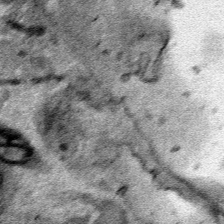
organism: Human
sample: Mitochondria in HCT116 cells